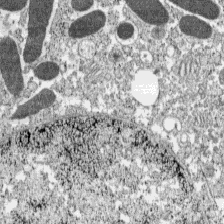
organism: C57BL Mouse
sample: Pancreatic islet